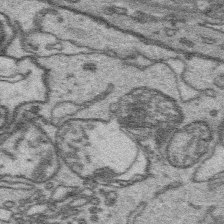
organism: Platynereis dumerilii